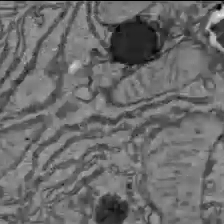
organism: C57BL Mouse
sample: Liver